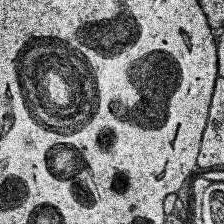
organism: Human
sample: Temporal Lobe